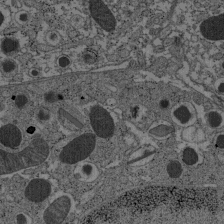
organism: C57BL Mouse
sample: Pancreatic islet